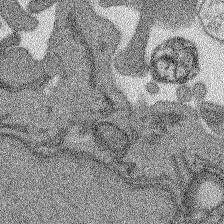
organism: Human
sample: HeLa cells